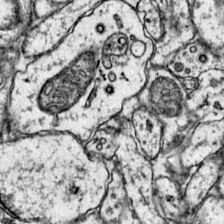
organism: Mouse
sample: Primary visual cortex